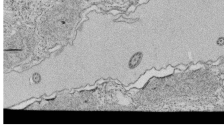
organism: Tetrahymena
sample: Cilia in tetrahymena